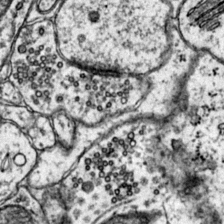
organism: Mouse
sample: Primary visual cortex